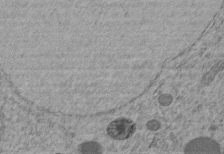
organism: C. elegans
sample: C. elegans embryo early stage